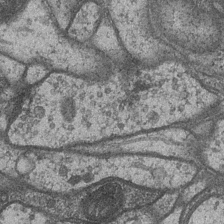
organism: Drosophila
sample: Optic medulla